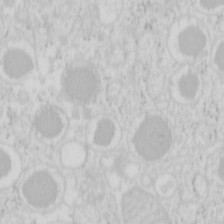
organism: Mouse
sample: Pancreas